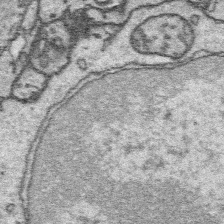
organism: Platynereis dumerilii